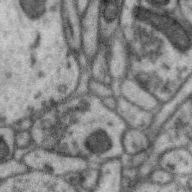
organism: Zebra finch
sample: Brain